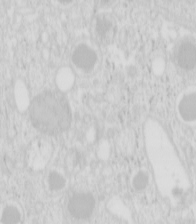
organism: Mouse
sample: Pancreas